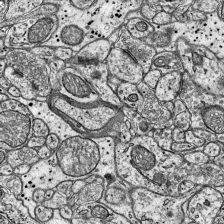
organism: Mouse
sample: Visual Cortex